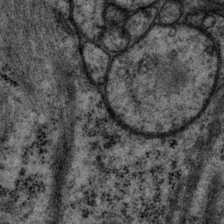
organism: P. pacificus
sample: Pharynx